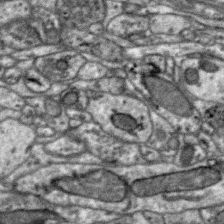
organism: Zebra finch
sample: Brain